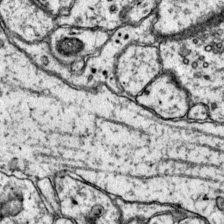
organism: Mouse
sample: Primary visual cortex